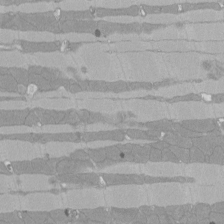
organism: Rat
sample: Left ventricle